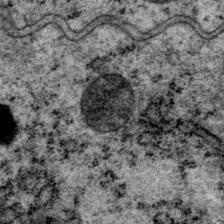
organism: P. pacificus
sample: Pharynx